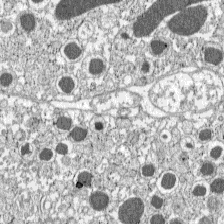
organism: C57BL Mouse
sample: Pancreatic islet